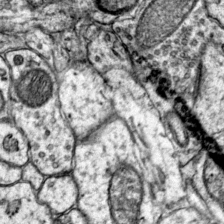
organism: Mouse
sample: Primary visual cortex